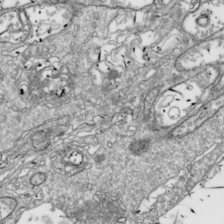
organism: Drosophila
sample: Cell division; meiosis; drosophila spermatocytes